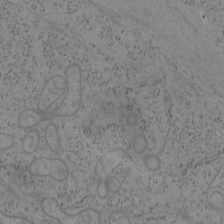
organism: Mouse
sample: OT-I killer T cells with ID8 ovarian cancer cells